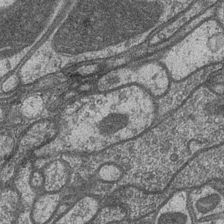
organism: Drosophila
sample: Optic medulla